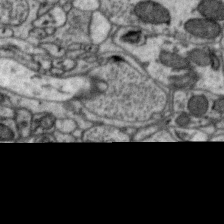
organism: Zebra finch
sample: Brain